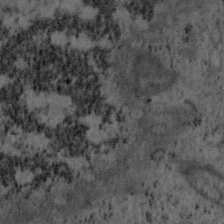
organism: Human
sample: HeLa cells